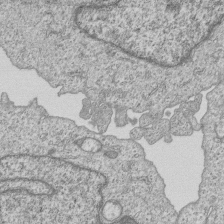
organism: Human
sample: MDA-MB-231 cells